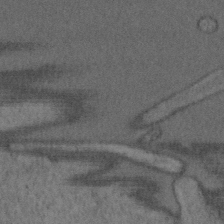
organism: Human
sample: HeLa cells